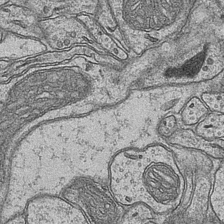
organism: Mouse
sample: CA1 Hippocampus